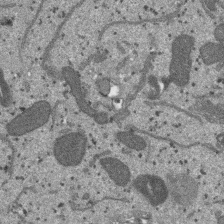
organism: Human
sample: Lung epithelial cells infected with SARS-CoV-2